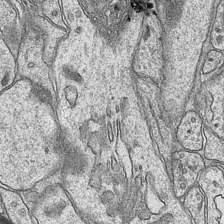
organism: Mouse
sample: CA1 Hippocampus